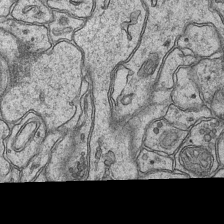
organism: Mouse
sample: CA1 Hippocampus